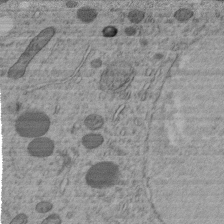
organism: C. elegans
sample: C. elegans embryo early stage